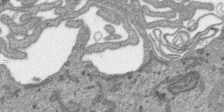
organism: Human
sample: Lung epithelial cells infected with SARS-CoV-2